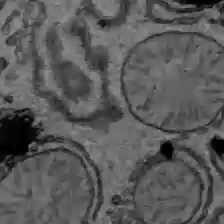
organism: C57BL Mouse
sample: Liver